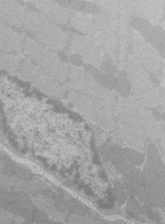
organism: C57BL Mouse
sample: Tibialis anterior muscle cell